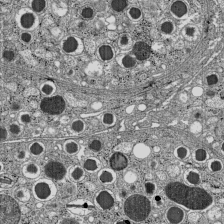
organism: C57BL Mouse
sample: Pancreatic islet